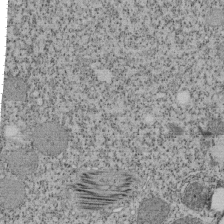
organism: Tetrahymena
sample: Cilia in tetrahymena